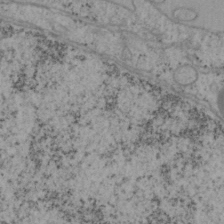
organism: Human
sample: HeLa cells